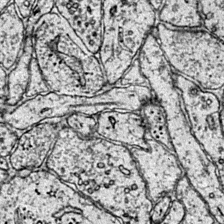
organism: Mouse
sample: Primary visual cortex